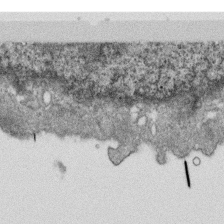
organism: African green monkey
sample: Vero E6 cells infected with SARS-CoV-2